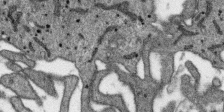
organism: Human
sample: Lung epithelial cells, uninfected (mock) control